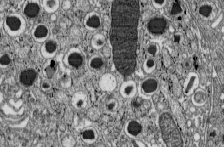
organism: C57BL Mouse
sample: Pancreatic islet